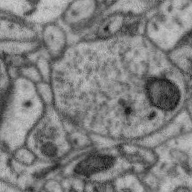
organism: Zebra finch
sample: Brain